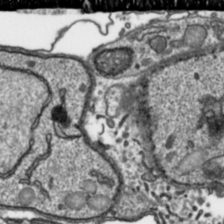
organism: Toxoplasma gondii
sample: Parasites in a vacuole inside a host cell